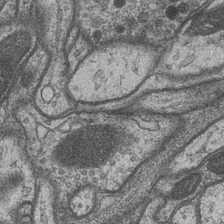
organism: Drosophila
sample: Optic medulla